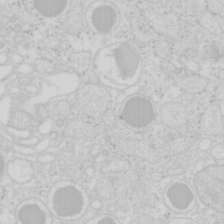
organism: Mouse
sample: Pancreas